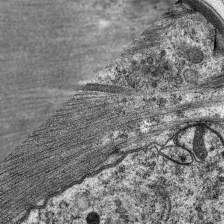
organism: C. elegans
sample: Pharynx